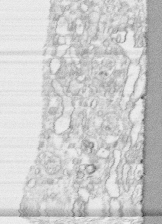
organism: Human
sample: CRL-1474